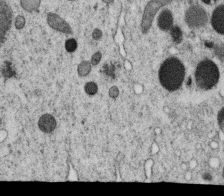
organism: C. elegans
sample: C. elegans oocyte; sperm cells